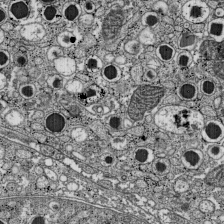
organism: C57BL Mouse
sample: Pancreatic islet